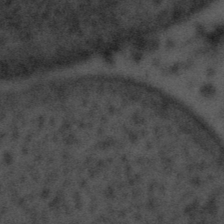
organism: Tuwongella immobilis